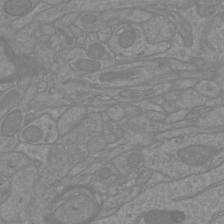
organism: Mouse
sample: Cortical neurons